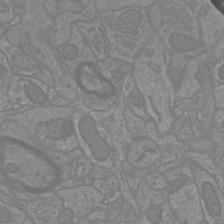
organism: Mouse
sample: Cortical neurons